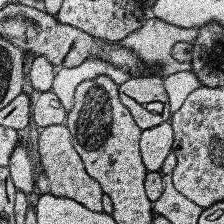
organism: Human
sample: Temporal Lobe